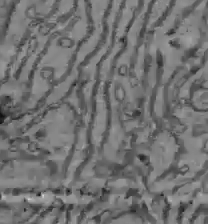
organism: C57BL Mouse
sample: Liver